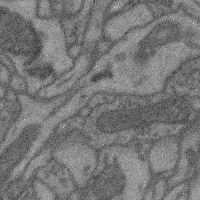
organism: Mouse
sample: Cerebral cortex